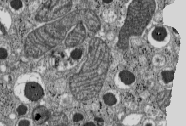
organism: C57BL Mouse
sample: Pancreatic islet